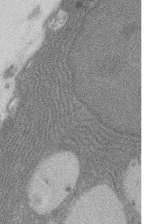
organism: Rat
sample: Salivary granule